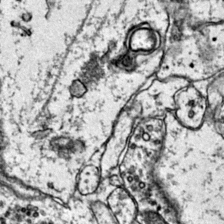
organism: Mouse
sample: Primary visual cortex